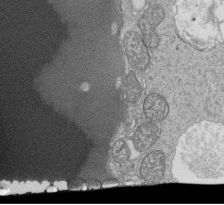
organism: Tetrahymena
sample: Cilia in tetrahymena